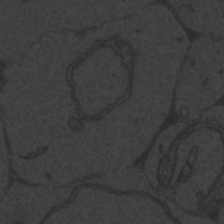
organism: Zebrafish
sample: Macrophage infected with Toxoplasma gondii